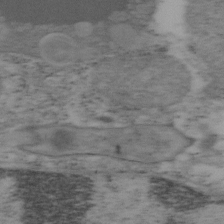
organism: Mouse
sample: OT-I killer T cells with ID8 ovarian cancer cells